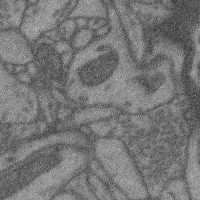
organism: Mouse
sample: Cerebral cortex